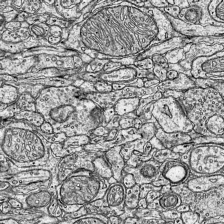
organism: Mouse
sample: Visual Cortex